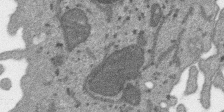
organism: Human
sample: Lung epithelial cells infected with SARS-CoV-2